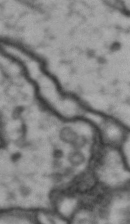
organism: Drosophila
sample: Brain